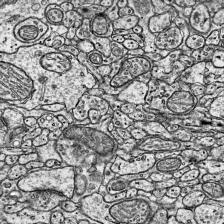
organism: Mouse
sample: Visual Cortex